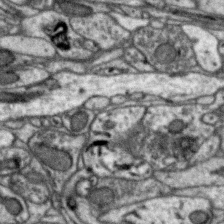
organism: Zebra finch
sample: Brain